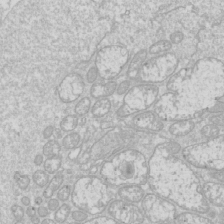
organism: Drosophila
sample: Cell division; meiosis; drosophila spermatocytes